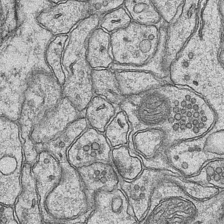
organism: Mouse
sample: CA1 Hippocampus